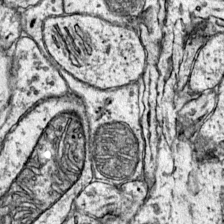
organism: Mouse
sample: Primary visual cortex